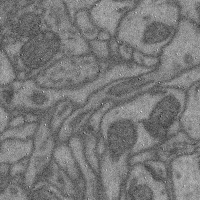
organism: Mouse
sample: Cerebral cortex